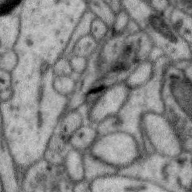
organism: Zebra finch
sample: Brain